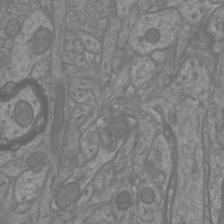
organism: Mouse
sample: Cortical neurons